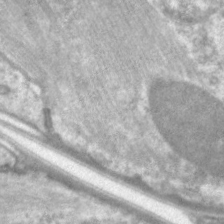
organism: C. elegans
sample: Pharynx